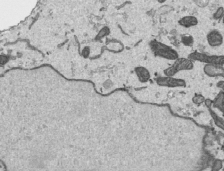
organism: Human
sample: Mitochondria in HCT116 cells